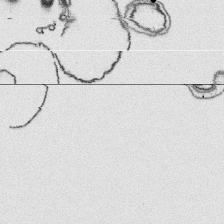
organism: Platynereis dumerilii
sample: Parapodia